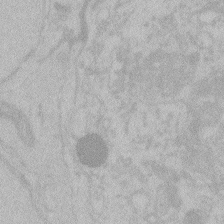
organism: Zebrafish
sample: Macrophage infected with Toxoplasma gondii